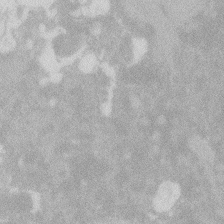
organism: Zebrafish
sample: Macrophage